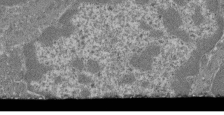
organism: Mouse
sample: Glomerulus